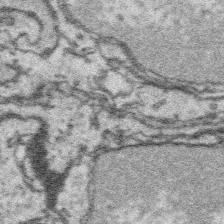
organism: Platynereis dumerilii